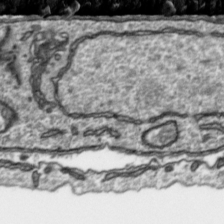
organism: Toxoplasma gondii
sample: Parasites in a vacuole inside a host cell